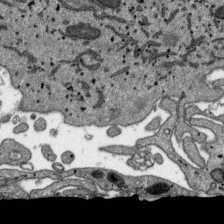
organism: Human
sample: Lung epithelial cells, uninfected (mock) control